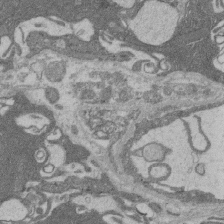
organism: Rat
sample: Salivary granule